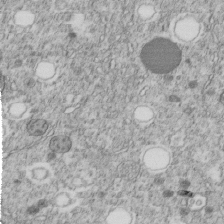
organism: C. elegans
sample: C. elegans embryo early stage